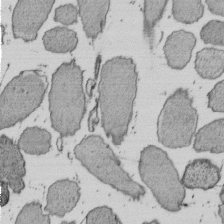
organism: E. coli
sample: Bacterial nucleoid